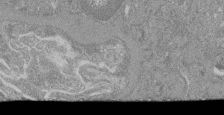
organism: Mouse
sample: Glomerulus